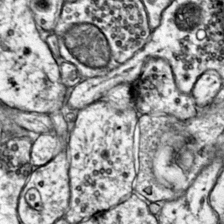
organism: Mouse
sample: Primary visual cortex